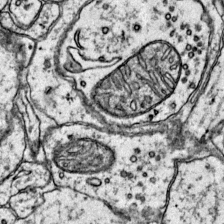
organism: Mouse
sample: Primary visual cortex